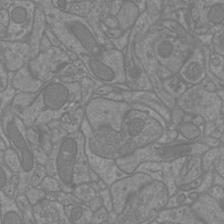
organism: Mouse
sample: Cortical neurons